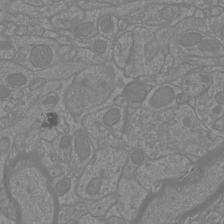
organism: Mouse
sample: Cortical neurons